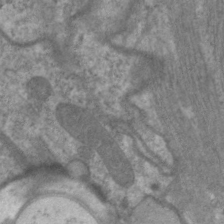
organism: C. elegans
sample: Pharynx